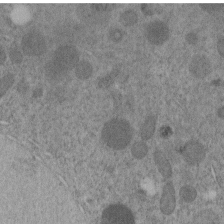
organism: C. elegans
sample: C. elegans embryo early stage